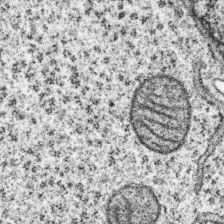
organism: Human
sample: HeLa cells